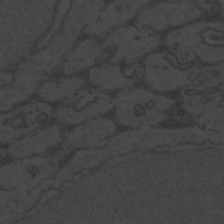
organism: Zebrafish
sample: Macrophage infected with Toxoplasma gondii